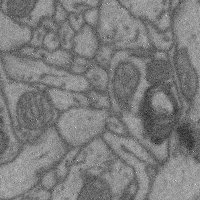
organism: Mouse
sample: Cerebral cortex